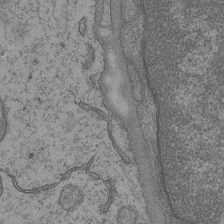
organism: Mouse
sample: CA1 Hippocampus